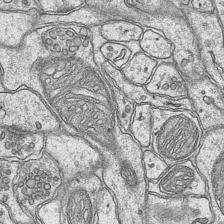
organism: Mouse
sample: CA1 Hippocampus